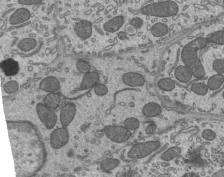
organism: Mouse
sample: Mouse epididymis efferent ductule cilia